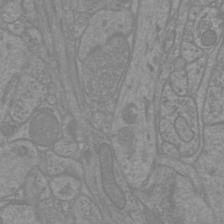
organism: Mouse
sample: Cortical neurons